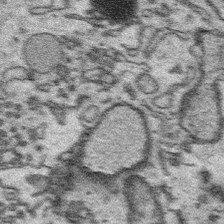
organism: Platynereis dumerilii